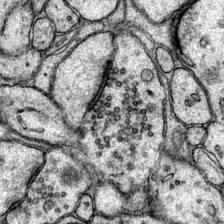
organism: Mouse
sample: Primary visual cortex